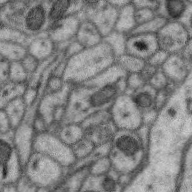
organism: Zebra finch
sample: Brain